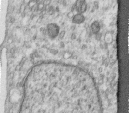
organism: Human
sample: Centriole in RPE cells